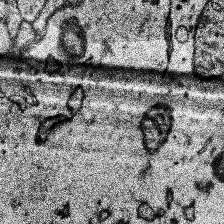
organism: Human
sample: Temporal Lobe